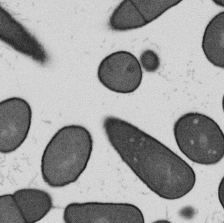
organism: B. subtilis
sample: Bacterial spore